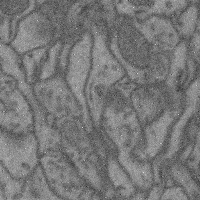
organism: Mouse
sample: Cerebral cortex